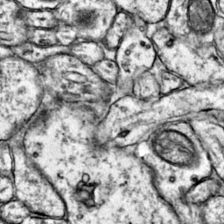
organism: Mouse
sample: Primary visual cortex